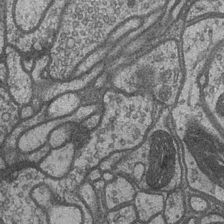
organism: Drosophila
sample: Optic medulla